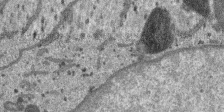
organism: Human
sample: Lung epithelial cells infected with SARS-CoV-2